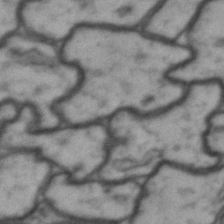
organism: Drosophila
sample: Brain